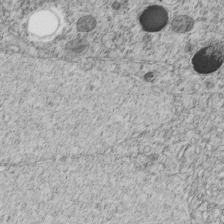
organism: C. elegans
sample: C. elegans embryo early stage